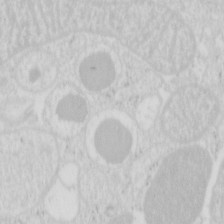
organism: Mouse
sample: Pancreas